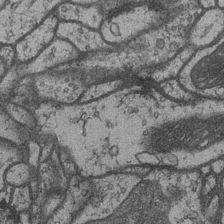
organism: Drosophila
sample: Optic medulla